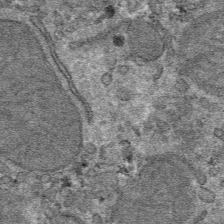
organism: Mouse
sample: Mouse hepatocytes